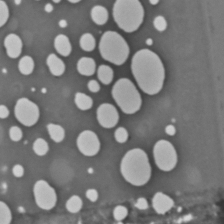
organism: C. elegans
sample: C. elegans embryo